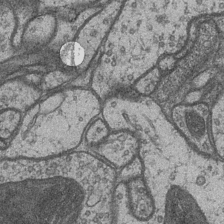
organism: Drosophila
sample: Optic medulla